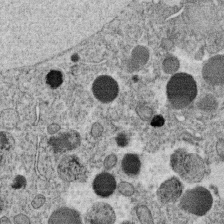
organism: C. elegans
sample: C. elegans oocyte; sperm cells